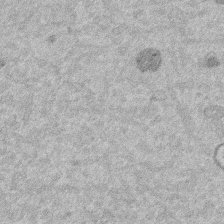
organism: Mouse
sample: Dividing mouse embryo 1 cell stage